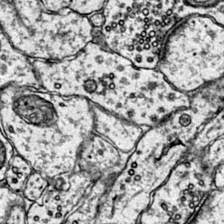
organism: Mouse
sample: Primary visual cortex